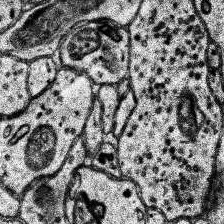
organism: Human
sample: Temporal Lobe